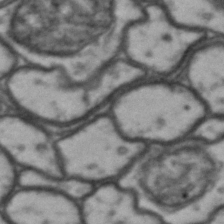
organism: Drosophila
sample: Brain